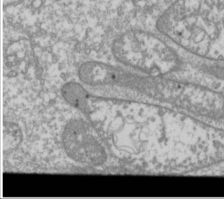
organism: Drosophila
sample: Cell division; meiosis; drosophila spermatocytes